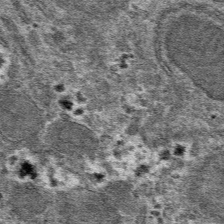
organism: Mouse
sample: Mouse hepatocytes